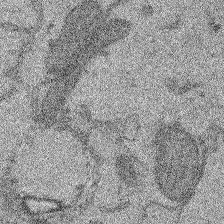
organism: Human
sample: HeLa cells